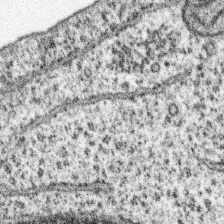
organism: Human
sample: HeLa cells